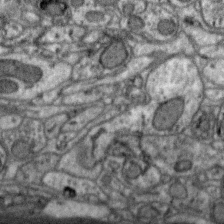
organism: Zebra finch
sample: Brain